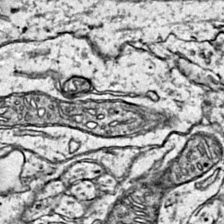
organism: Mouse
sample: Primary visual cortex